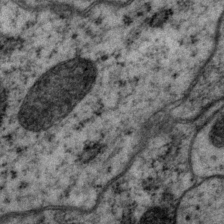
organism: P. pacificus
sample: Pharynx